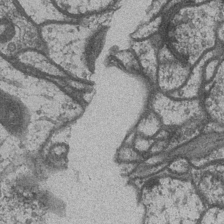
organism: Drosophila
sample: Optic medulla